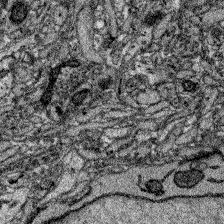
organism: Zebrafish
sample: Larval olfactory bulb